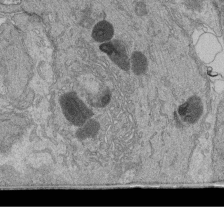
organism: Human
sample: Retinal organoid Rod and Cone cells